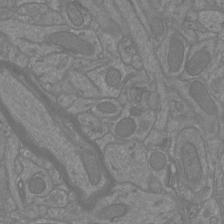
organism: Mouse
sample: Cortical neurons